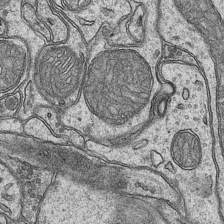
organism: Mouse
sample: CA1 Hippocampus